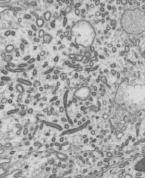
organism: Mouse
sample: Mouse epididymis efferent ductule cilia